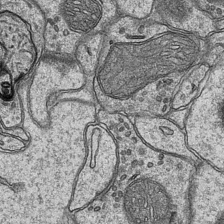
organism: Mouse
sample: CA1 Hippocampus